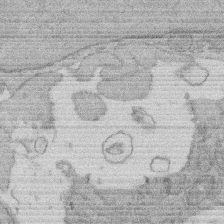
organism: Rat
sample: Salivary granule